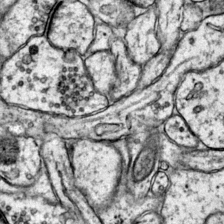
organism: Mouse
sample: Primary visual cortex